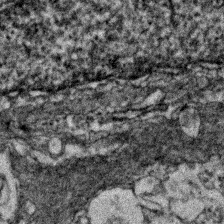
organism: Zebrafish